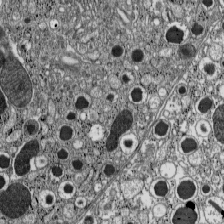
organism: C57BL Mouse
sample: Pancreatic islet